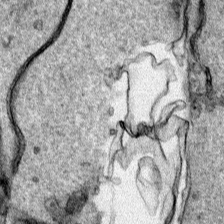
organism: Human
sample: Mitochondria in HCT116 cells